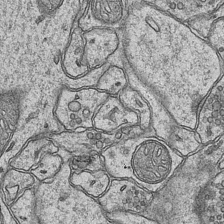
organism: Mouse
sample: CA1 Hippocampus